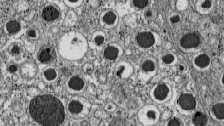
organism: C57BL Mouse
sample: Pancreatic islet